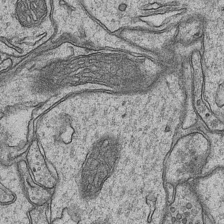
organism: Mouse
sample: CA1 Hippocampus